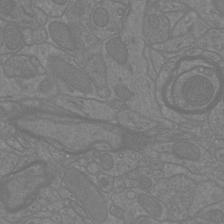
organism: Mouse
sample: Cortical neurons